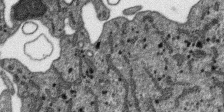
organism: Human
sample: Lung epithelial cells infected with SARS-CoV-2